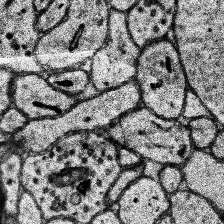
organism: Human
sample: Temporal Lobe